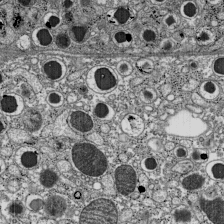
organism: C57BL Mouse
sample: Pancreatic islet